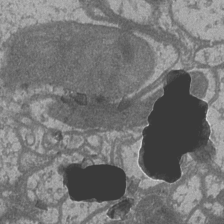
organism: Drosophila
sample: Optic medulla